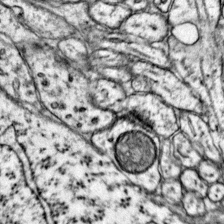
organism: Mouse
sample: Primary visual cortex